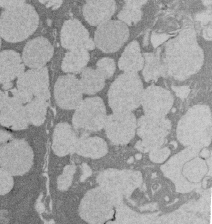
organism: Rat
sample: Salivary granule